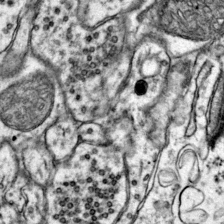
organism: Mouse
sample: Primary visual cortex